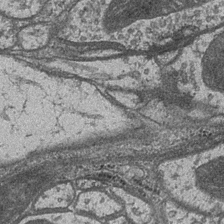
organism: Drosophila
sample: Optic medulla